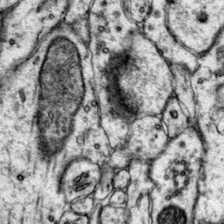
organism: Mouse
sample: Primary visual cortex